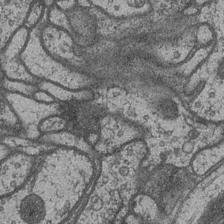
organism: Drosophila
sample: Optic medulla